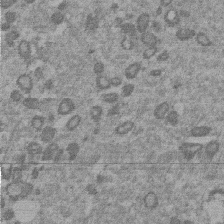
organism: Mouse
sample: Dividing mouse embryo 1 cell stage